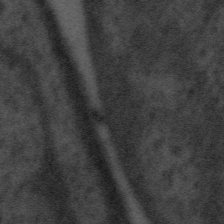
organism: Tuwongella immobilis